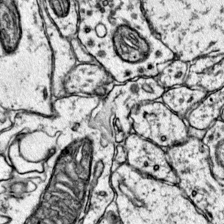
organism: Mouse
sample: Primary visual cortex